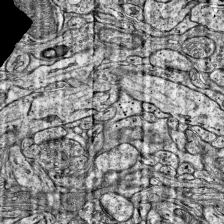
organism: Mouse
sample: Visual Cortex